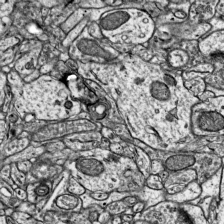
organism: Mouse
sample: Visual Cortex